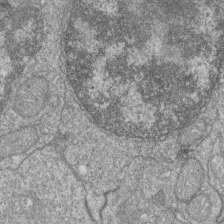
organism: Zebrafish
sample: Cilia; retinal pigment epithelium